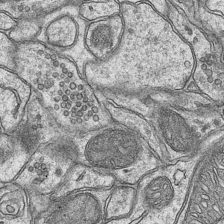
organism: Mouse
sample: CA1 Hippocampus